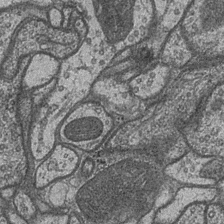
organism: Drosophila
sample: Optic medulla